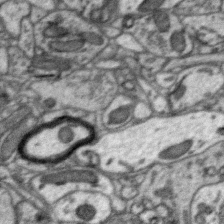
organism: Zebra finch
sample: Brain